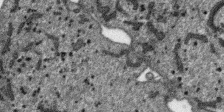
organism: Human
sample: Lung epithelial cells infected with SARS-CoV-2